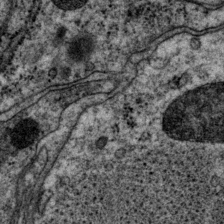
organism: P. pacificus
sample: Pharynx